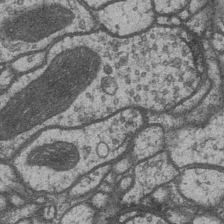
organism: Drosophila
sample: Optic medulla